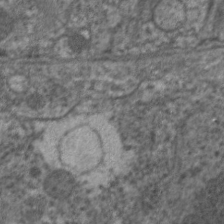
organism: C. elegans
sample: Pharynx